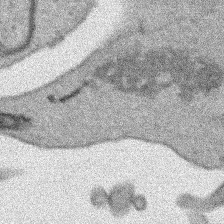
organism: Human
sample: Mitochondria in HCT116 cells